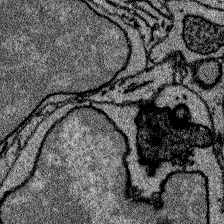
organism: Zebrafish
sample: Larval olfactory bulb